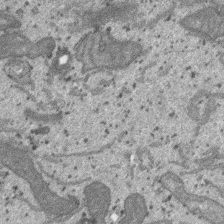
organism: Human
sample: Lung epithelial cells infected with SARS-CoV-2